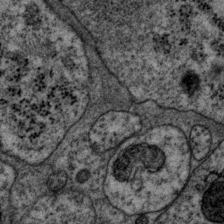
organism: P. pacificus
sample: Pharynx